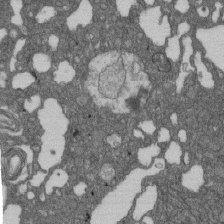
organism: Drosophila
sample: Nephrocyte